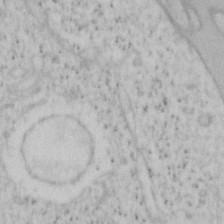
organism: Human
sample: HeLa cells